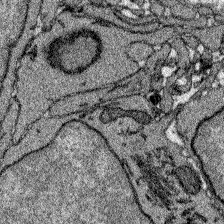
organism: Zebrafish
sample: Larval olfactory bulb